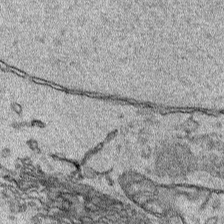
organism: Human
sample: Mitochondria in HCT116 cells